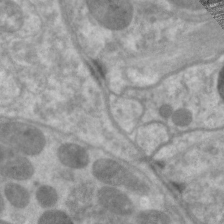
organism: C. elegans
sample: Pharynx